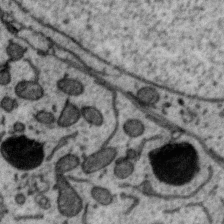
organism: Zebra finch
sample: Brain